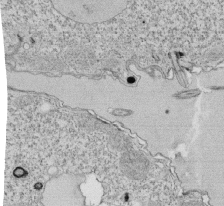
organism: Tetrahymena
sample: Cilia in tetrahymena